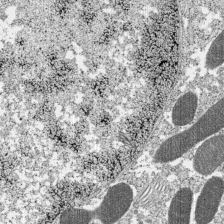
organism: C57BL Mouse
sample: Pancreatic islet